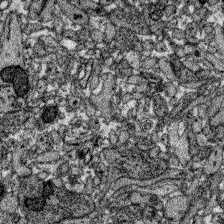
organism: Zebrafish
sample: Larval olfactory bulb